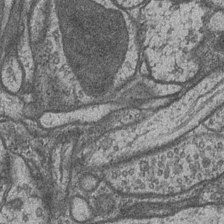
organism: Drosophila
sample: Optic medulla